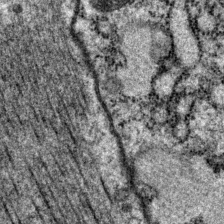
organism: P. pacificus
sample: Pharynx